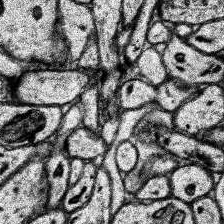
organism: Human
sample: Temporal Lobe